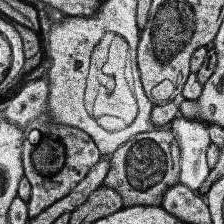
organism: Human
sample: Temporal Lobe